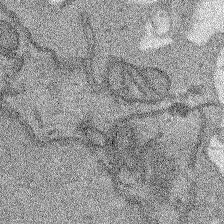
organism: Human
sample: HeLa cells